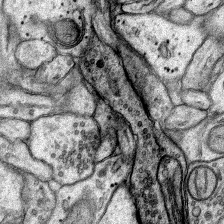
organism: Rat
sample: Hippocampus